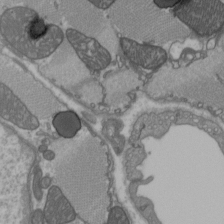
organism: C57BL Mouse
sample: Heart